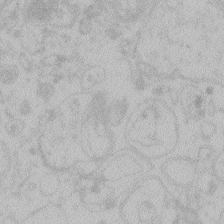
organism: Zebrafish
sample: Macrophage infected with Toxoplasma gondii